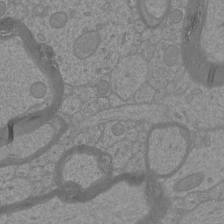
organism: Mouse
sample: Cortical neurons